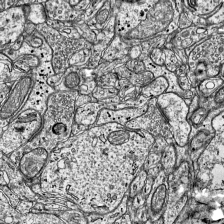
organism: Mouse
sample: Visual Cortex